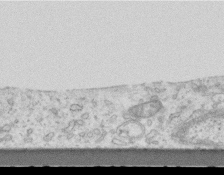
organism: Mouse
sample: Centriole in ependymal cells